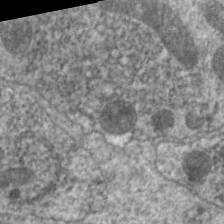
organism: C. elegans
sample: Pharynx